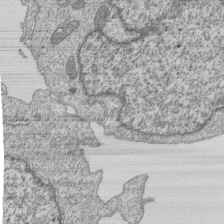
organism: Human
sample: MDA-MB-231 cells